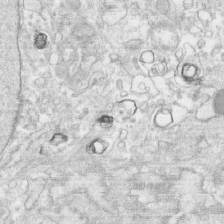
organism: Human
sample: CRL-1474